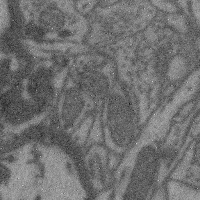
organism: Mouse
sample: Cerebral cortex